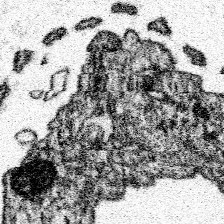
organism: Spongilla lacustris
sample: Neuroid cell